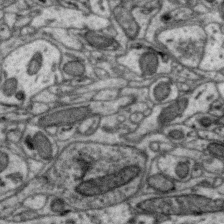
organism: Zebra finch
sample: Brain